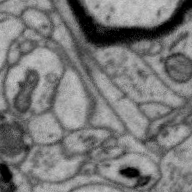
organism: Zebra finch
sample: Brain